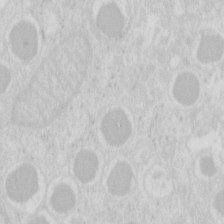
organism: Mouse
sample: Pancreas